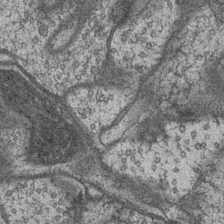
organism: Drosophila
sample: Optic medulla